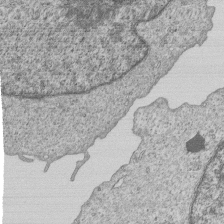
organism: Human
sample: MDA-MB-231 cells